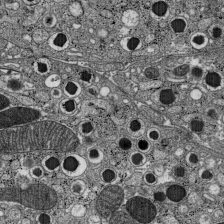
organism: C57BL Mouse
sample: Pancreatic islet